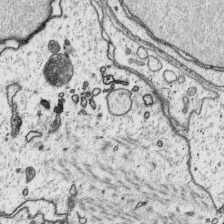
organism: Platynereis dumerilii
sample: Parapodia